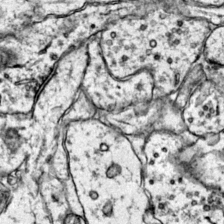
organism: Mouse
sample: Primary visual cortex